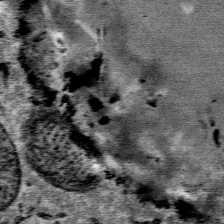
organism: Mouse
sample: Mouse Salivary gland